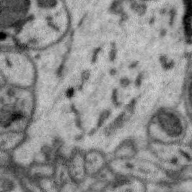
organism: Zebra finch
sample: Brain